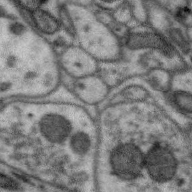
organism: Zebra finch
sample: Brain